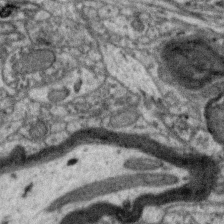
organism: Zebra finch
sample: Brain